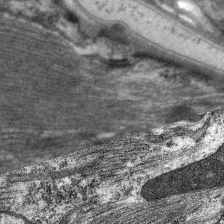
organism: C. elegans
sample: Pharynx